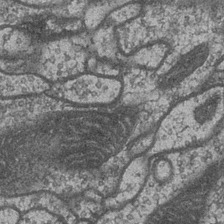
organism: Drosophila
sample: Optic medulla